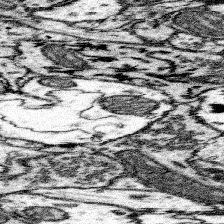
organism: Mouse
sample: Somatosensory cortex neuropil